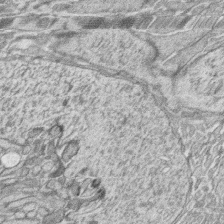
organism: Zebrafish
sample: synaptic ribbons in rod cells and cone cells